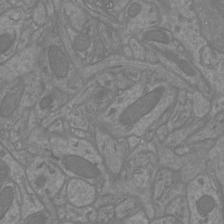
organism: Mouse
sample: Cortical neurons